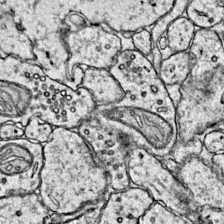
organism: Mouse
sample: Primary visual cortex